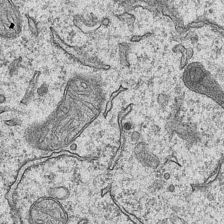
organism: Mouse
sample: CA1 Hippocampus